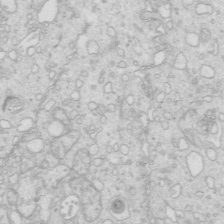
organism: Mouse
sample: Multiciliated cells